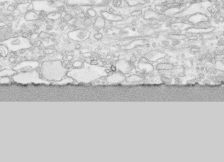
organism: Human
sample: CRL-1474